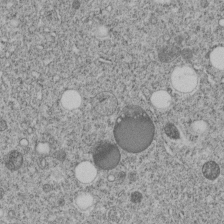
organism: C. elegans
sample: C. elegans embryo early stage